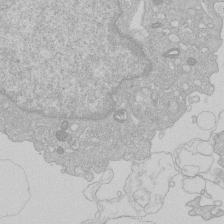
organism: Human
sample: Macrophage cells